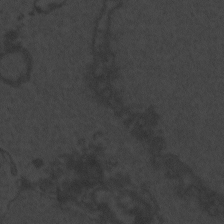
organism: Zebrafish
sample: Macrophage infected with Toxoplasma gondii